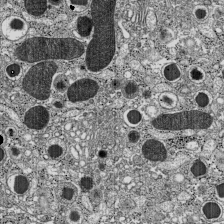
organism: C57BL Mouse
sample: Pancreatic islet